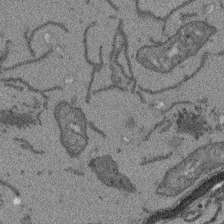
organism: Arabidopsis thaliana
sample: Root tip